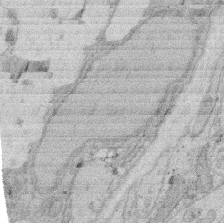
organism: Rat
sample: Salivary granule